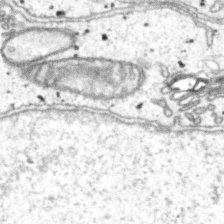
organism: Human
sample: HeLa cells